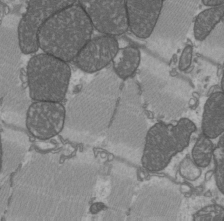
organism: C57BL Mouse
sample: Heart